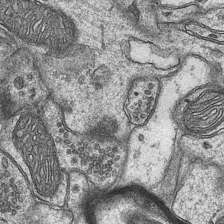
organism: Mouse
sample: CA1 Hippocampus